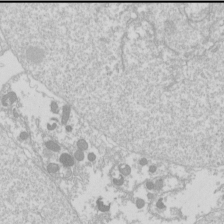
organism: Drosophila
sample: Cell division; meiosis; drosophila spermatocytes